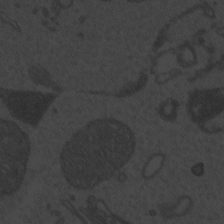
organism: Zebrafish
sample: Macrophage infected with Toxoplasma gondii